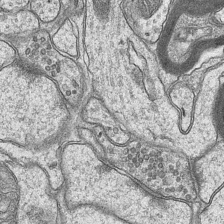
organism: Mouse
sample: CA1 Hippocampus